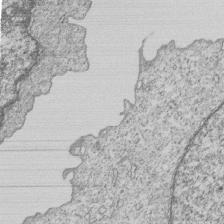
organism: Human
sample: MDA-MB-231 cells